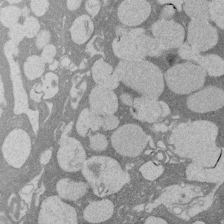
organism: Rat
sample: Salivary granule